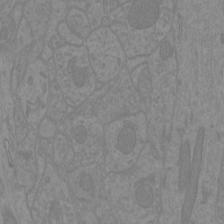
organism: Mouse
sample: Cortical neurons